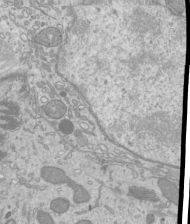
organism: Mouse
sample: Cilia; mouse epididymis